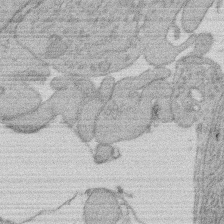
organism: Rat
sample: Salivary granule